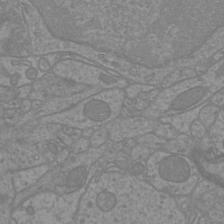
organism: Mouse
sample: Cortical neurons